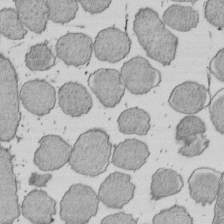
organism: E. coli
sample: Bacterial nucleoid